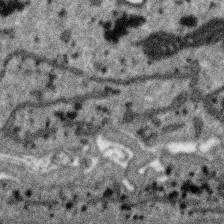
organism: Human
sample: Lung epithelial cells infected with SARS-CoV-2